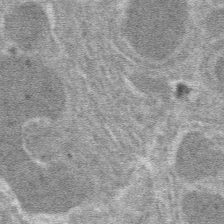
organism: Mouse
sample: Mouse hepatocytes